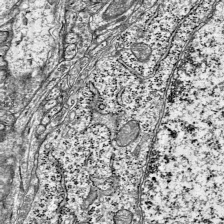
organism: Mouse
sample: Visual Cortex